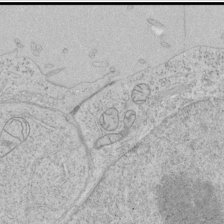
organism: Human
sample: Mitochondria in HCT116 cells